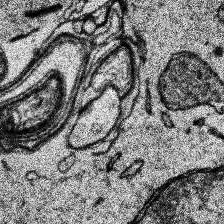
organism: Human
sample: Temporal Lobe